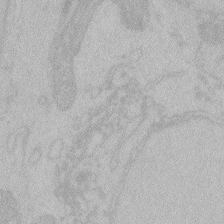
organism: Zebrafish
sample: Macrophage infected with Toxoplasma gondii